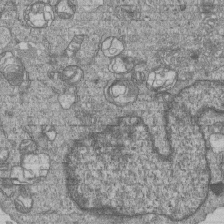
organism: Human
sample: MDA-MB-231 cells